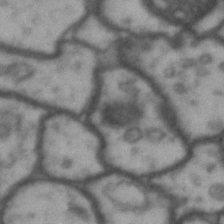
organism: Drosophila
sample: Brain